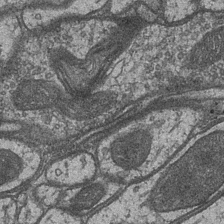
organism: Drosophila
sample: Optic medulla